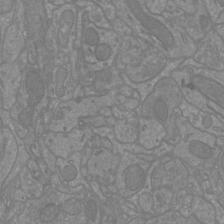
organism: Mouse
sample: Cortical neurons